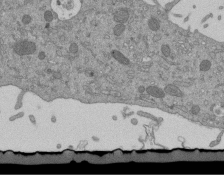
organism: Mouse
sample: ED-1 cell nuclei; centrioles